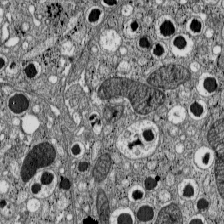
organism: C57BL Mouse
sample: Pancreatic islet